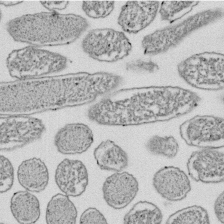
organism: E. coli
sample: Bacterial nucleoid